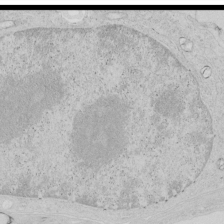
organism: Human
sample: Mitochondria in HCT116 cells